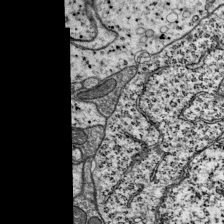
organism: Mouse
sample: Visual Cortex